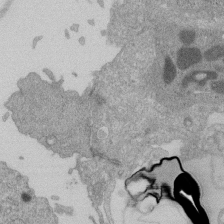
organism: Human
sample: Retinal organoid Rod and Cone cells